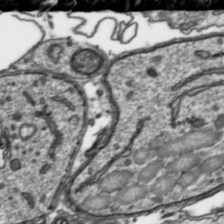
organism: Toxoplasma gondii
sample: Parasites in a vacuole inside a host cell